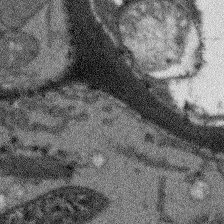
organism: Arabidopsis thaliana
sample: Root tip